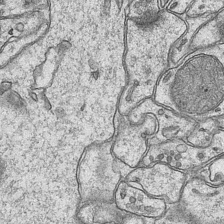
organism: Mouse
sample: CA1 Hippocampus